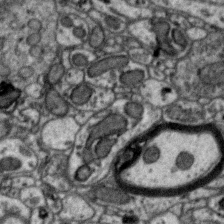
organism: Zebra finch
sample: Brain